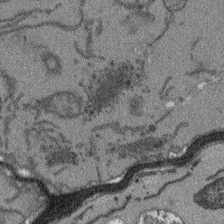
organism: Arabidopsis thaliana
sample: Root tip